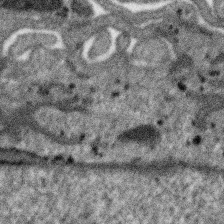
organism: Human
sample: Lung epithelial cells infected with SARS-CoV-2